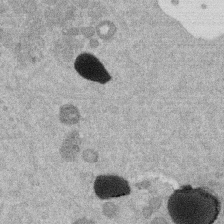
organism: Mouse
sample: Dividing mouse embryo 1 cell stage